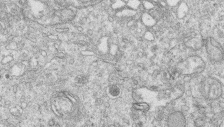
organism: Human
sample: HeLa cell HIV synapse